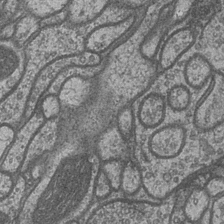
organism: Drosophila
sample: Optic medulla